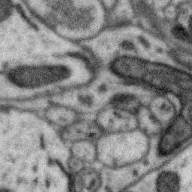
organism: Zebra finch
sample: Brain